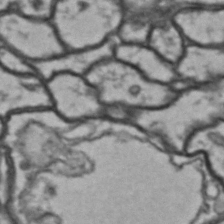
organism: Drosophila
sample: Brain